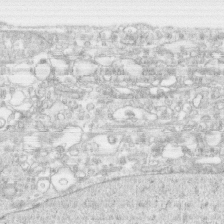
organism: Human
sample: CRL-1474